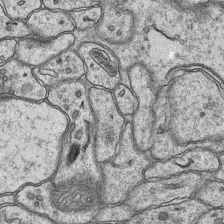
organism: Mouse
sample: CA1 Hippocampus